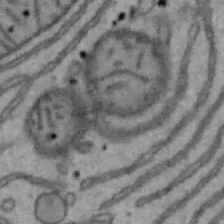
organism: Mouse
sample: Liver